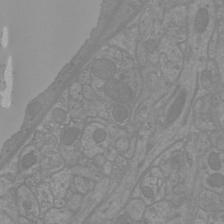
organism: Mouse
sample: Cortical neurons